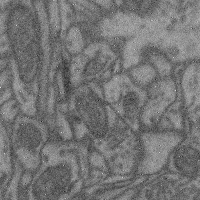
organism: Mouse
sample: Cerebral cortex